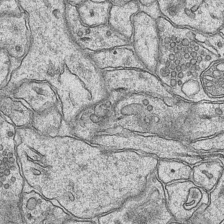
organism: Mouse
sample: CA1 Hippocampus